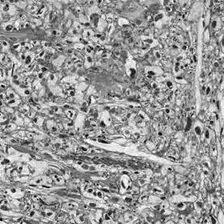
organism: Drosophila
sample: Optic lobe